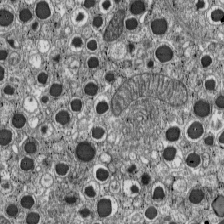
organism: C57BL Mouse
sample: Pancreatic islet